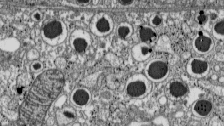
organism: C57BL Mouse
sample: Pancreatic islet